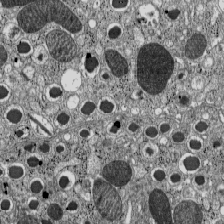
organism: C57BL Mouse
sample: Pancreatic islet